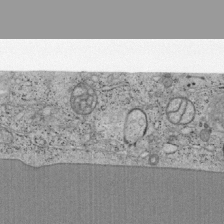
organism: Human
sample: HeLa cells